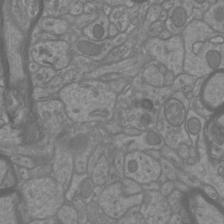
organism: Mouse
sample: Cortical neurons